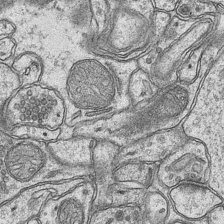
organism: Mouse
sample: CA1 Hippocampus